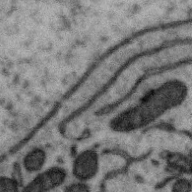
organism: Zebra finch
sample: Brain